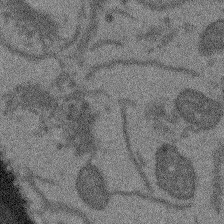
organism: Arabidopsis thaliana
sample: Root tip